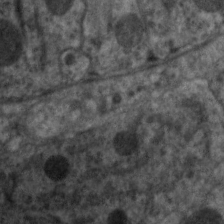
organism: C. elegans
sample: Pharynx